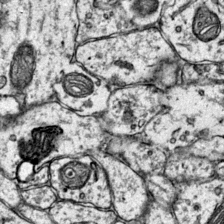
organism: Mouse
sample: Primary visual cortex